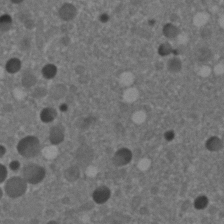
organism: C. elegans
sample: C. elegans embryo